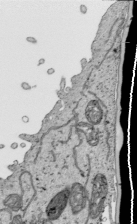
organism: Human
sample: Mitochondria in HCT116 cells